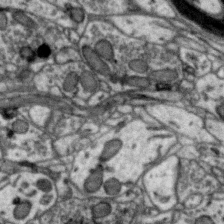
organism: Zebra finch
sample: Brain